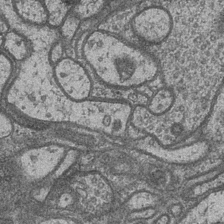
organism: Drosophila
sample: Optic medulla